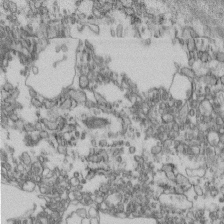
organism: Mouse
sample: Cilia; retinal pigment epithelium